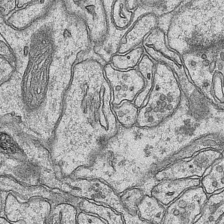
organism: Mouse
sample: CA1 Hippocampus